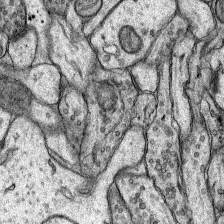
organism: Rat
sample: Hippocampus